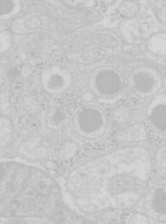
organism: Mouse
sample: Pancreas